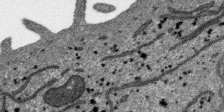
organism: Human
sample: Lung epithelial cells, uninfected (mock) control